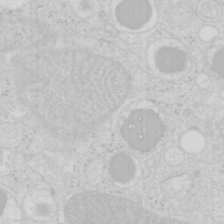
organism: Mouse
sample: Pancreas